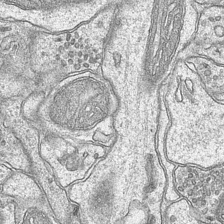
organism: Mouse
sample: CA1 Hippocampus